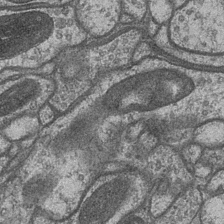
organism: Drosophila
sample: Optic medulla